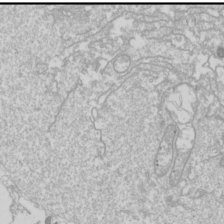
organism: Drosophila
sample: Cell division; meiosis; drosophila spermatocytes